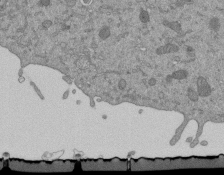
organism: Mouse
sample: ED-1 cell nuclei; centrioles